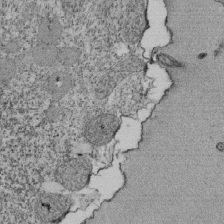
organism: Tetrahymena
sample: Cilia in tetrahymena